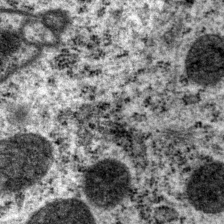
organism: P. pacificus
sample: Pharynx